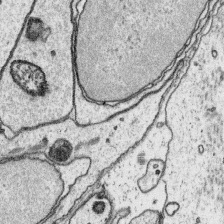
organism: Platynereis dumerilii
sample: Parapodia